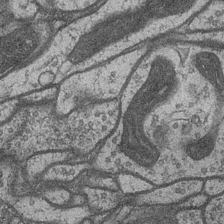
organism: Drosophila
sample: Optic medulla